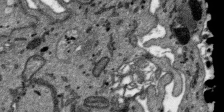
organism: Human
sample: Lung epithelial cells, uninfected (mock) control